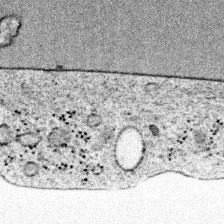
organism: Human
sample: HeLa cells